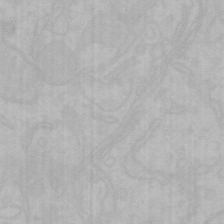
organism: Mouse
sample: Choroid plexus